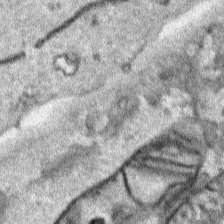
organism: Human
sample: Mitochondria in HCT116 cells